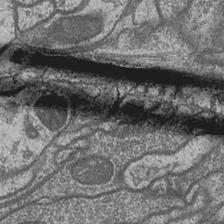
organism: Drosophila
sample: Optic medulla